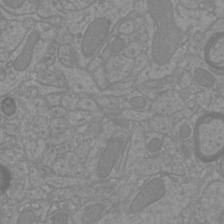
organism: Mouse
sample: Cortical neurons